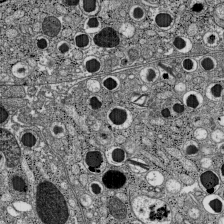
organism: C57BL Mouse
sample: Pancreatic islet